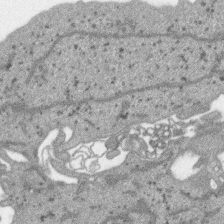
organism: Human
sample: Lung epithelial cells infected with SARS-CoV-2